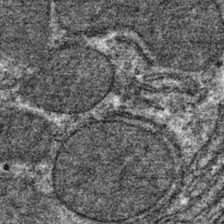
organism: Mouse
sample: Mouse hepatocytes